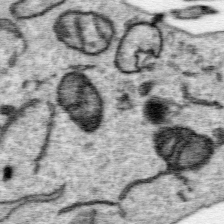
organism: Human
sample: HeLa cells